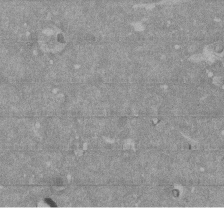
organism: Mouse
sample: ED-1 cell nuclei; centrioles